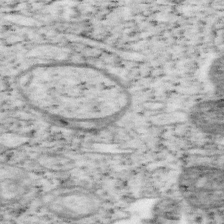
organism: Mouse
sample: OT-I killer T cells with ID8 ovarian cancer cells